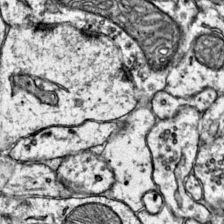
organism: Mouse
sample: Primary visual cortex